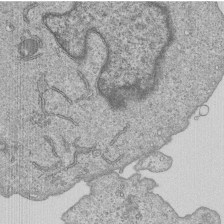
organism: Human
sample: MDA-MB-231 cells